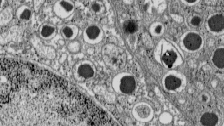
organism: C57BL Mouse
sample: Pancreatic islet